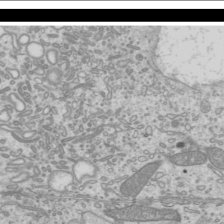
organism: Mouse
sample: Cilia; mouse epididymis